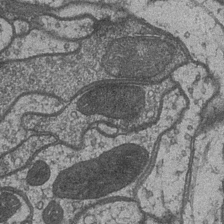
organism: Drosophila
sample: Optic medulla